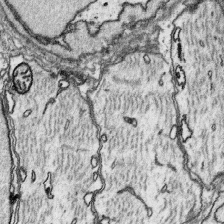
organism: Platynereis dumerilii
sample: Parapodia